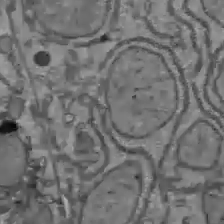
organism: C57BL Mouse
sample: Liver